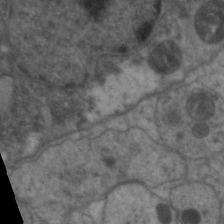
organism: C. elegans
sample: Pharynx